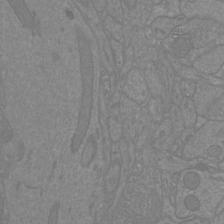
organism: Mouse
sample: Cortical neurons